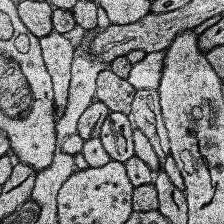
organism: Human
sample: Temporal Lobe